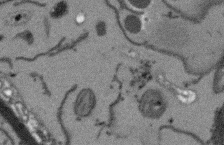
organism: Arabidopsis thaliana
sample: Root tip